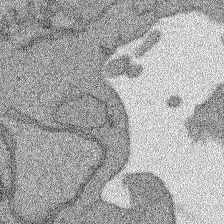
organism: Human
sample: HeLa cells